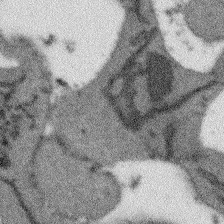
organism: Arabidopsis thaliana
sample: Root tip